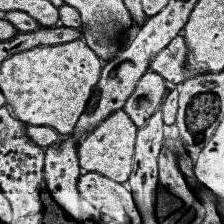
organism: Human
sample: Temporal Lobe